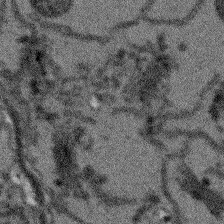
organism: Arabidopsis thaliana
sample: Root tip